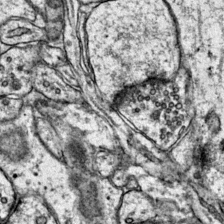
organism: Mouse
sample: Primary visual cortex